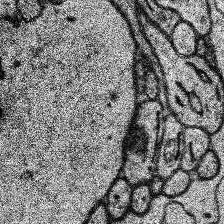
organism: Human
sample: Temporal Lobe